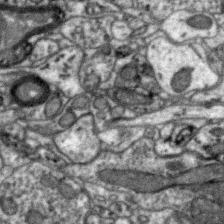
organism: Zebra finch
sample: Brain